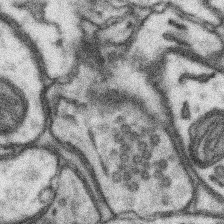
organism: Mouse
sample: Somatosensory cortex neuropil